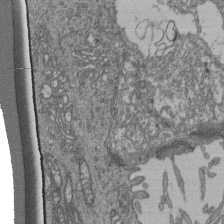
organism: Human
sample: Retinal organoid Rod and Cone cells